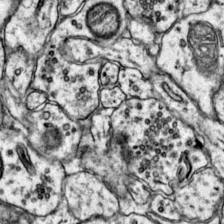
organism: Mouse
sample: Primary visual cortex